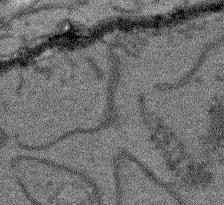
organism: Arabidopsis thaliana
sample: Root tip